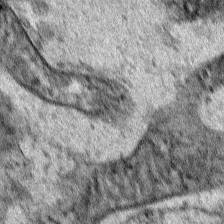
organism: Human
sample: Mitochondria in HCT116 cells